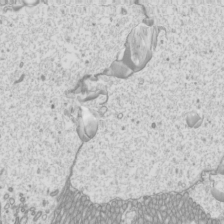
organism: Mouse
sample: Cilia; mouse epididymis